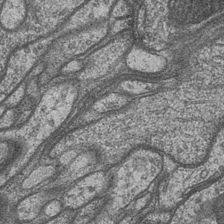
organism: Drosophila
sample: Optic medulla